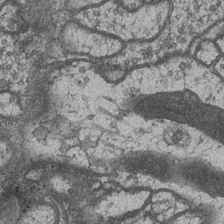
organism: Drosophila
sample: Optic medulla